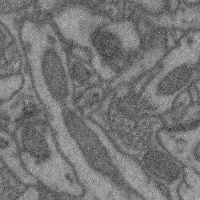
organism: Mouse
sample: Cerebral cortex